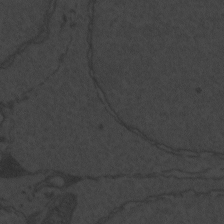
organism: Zebrafish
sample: Macrophage infected with Toxoplasma gondii